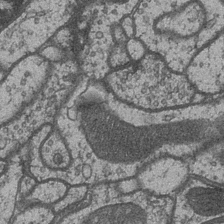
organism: Drosophila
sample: Optic medulla